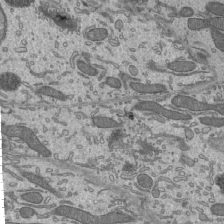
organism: Mouse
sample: Mouse epididymis efferent ductule cilia